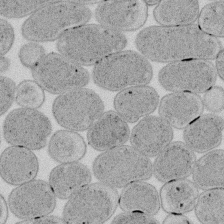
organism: E. coli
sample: Bacterial nucleoid